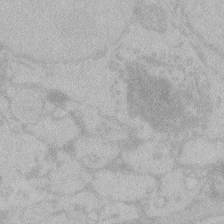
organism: Zebrafish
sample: Macrophage infected with Toxoplasma gondii